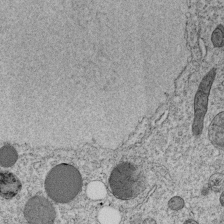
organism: C. elegans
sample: C. elegans embryo early stage